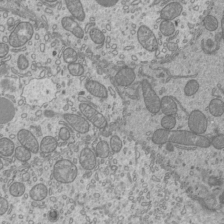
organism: Mouse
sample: Cilia; mouse epididymis